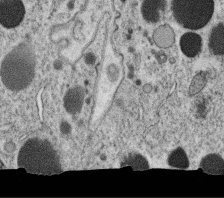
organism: C. elegans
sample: C. elegans oocyte; sperm cells